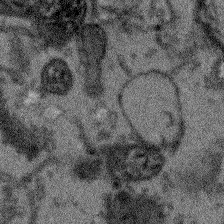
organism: Arabidopsis thaliana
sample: Root tip